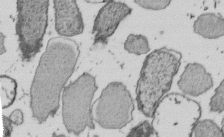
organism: E. coli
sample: Bacterial nucleoid